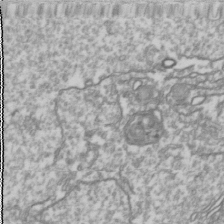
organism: Drosophila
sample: Cell division; meiosis; drosophila spermatocytes